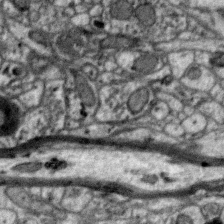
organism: Zebra finch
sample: Brain